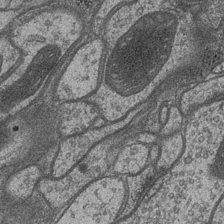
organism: Drosophila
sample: Optic medulla